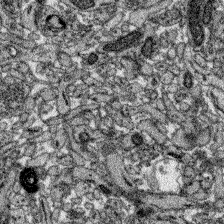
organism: Zebrafish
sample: Larval olfactory bulb